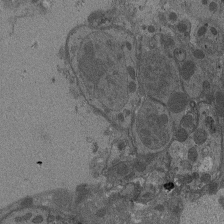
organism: Drosophila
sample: Antenna